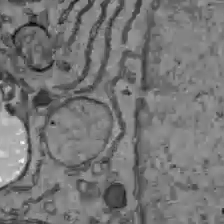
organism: C57BL Mouse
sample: Liver